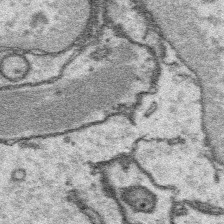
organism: Platynereis dumerilii